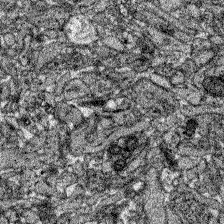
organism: Zebrafish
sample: Larval olfactory bulb